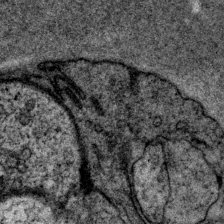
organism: P. pacificus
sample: Pharynx